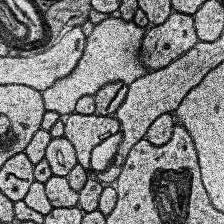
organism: Human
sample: Temporal Lobe